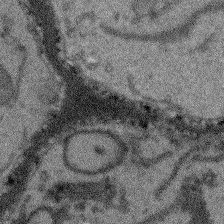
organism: Arabidopsis thaliana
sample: Root tip